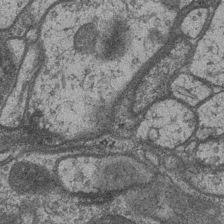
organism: Drosophila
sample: Optic medulla